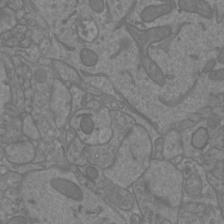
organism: Mouse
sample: Cortical neurons